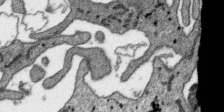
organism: Human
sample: Lung epithelial cells, uninfected (mock) control